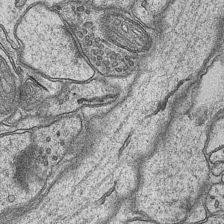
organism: Mouse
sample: CA1 Hippocampus